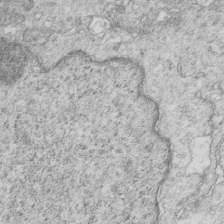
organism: Mouse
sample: Multiciliated cells